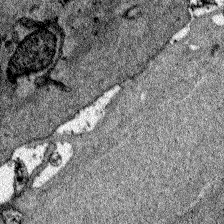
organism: Zebrafish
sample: Larval olfactory bulb